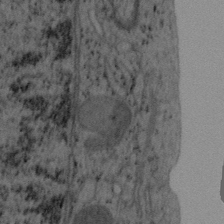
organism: Human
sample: HeLa cells